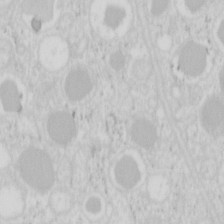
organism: Mouse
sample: Pancreas